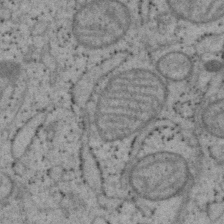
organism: Human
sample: HeLa cells